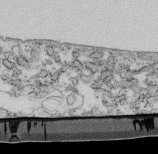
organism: Mouse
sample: Cilia; retinal pigment epithelium